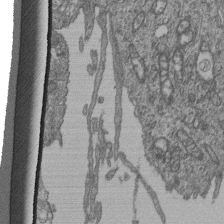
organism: Human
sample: Retinal organoid Rod and Cone cells